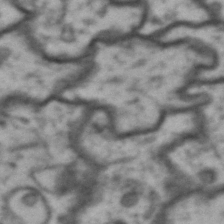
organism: Drosophila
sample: Brain